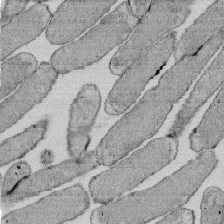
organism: E. coli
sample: Bacterial nucleoid